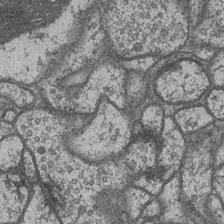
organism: Drosophila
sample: Optic medulla